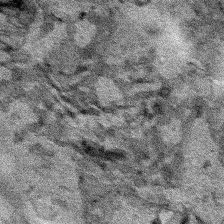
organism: Human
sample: Mitochondria in HCT116 cells